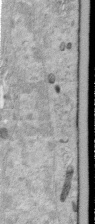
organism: Human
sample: Centriole in RPE cells